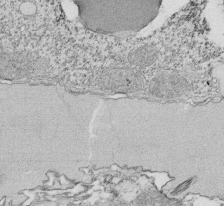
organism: Tetrahymena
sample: Cilia in tetrahymena